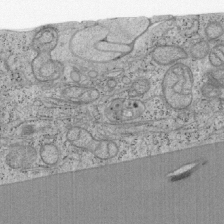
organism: Human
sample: HeLa cells